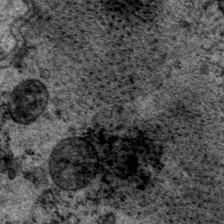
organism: P. pacificus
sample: Pharynx